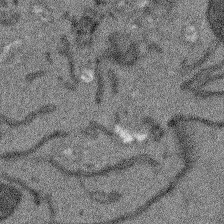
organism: Arabidopsis thaliana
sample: Root tip